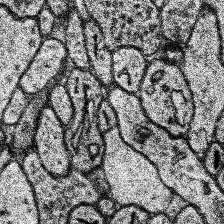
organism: Human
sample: Temporal Lobe